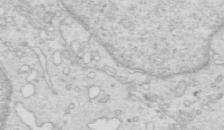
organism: Mouse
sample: Multiciliated cells